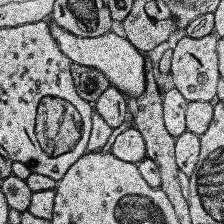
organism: Human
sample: Temporal Lobe